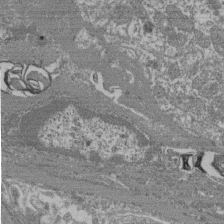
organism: Mouse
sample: Glomerulus